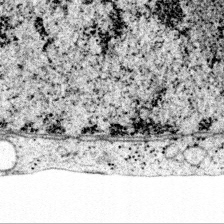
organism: Human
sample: HeLa cells